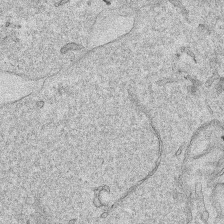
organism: Human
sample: Mitochondria in HCT116 cells